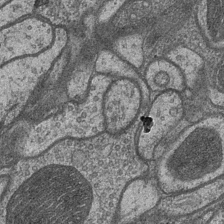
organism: Drosophila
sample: Optic medulla